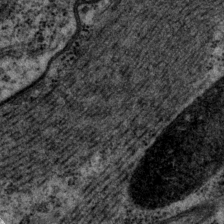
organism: P. pacificus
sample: Pharynx